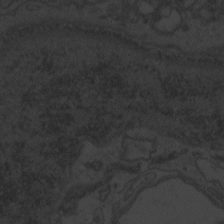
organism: Zebrafish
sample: Macrophage infected with Toxoplasma gondii